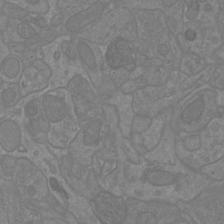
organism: Mouse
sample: Cortical neurons